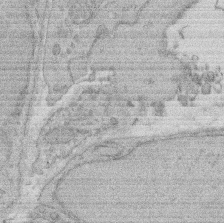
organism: Rat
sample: Salivary granule